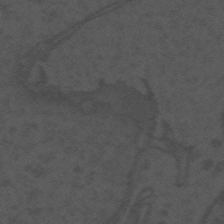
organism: Mouse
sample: Suprachiasmatic nucleus